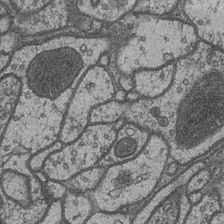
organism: Drosophila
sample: Optic medulla